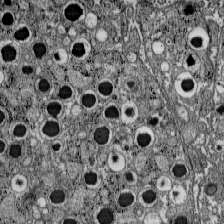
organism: C57BL Mouse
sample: Pancreatic islet